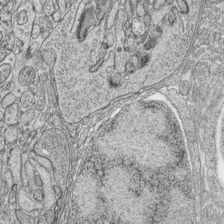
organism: Zebrafish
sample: synaptic ribbons in rod cells and cone cells